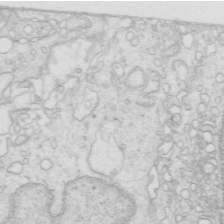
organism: Mouse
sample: Multiciliated cells